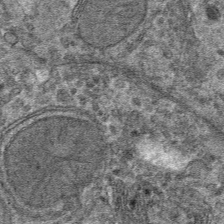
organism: Mouse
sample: Mouse hepatocytes